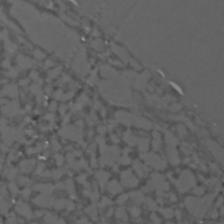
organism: C. elegans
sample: C. elegans embryo